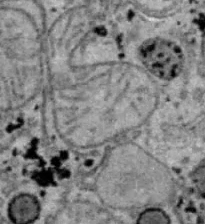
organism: Mouse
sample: Liver from an obese (ob/ob) mouse